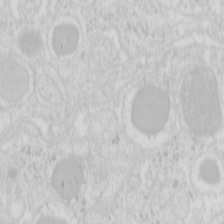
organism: Mouse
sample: Pancreas